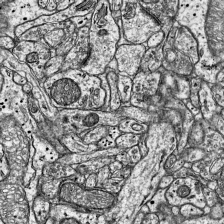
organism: Mouse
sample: Visual Cortex